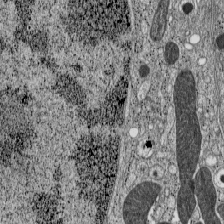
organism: C57BL Mouse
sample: Pancreatic islet